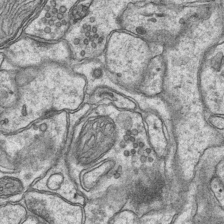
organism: Mouse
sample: CA1 Hippocampus